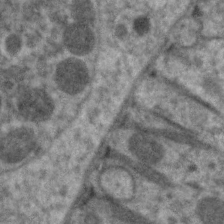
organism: C. elegans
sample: Pharynx